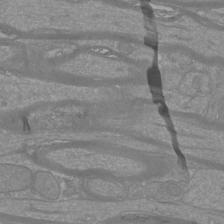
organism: Mouse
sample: Cortical neurons